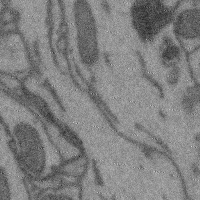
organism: Mouse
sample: Cerebral cortex